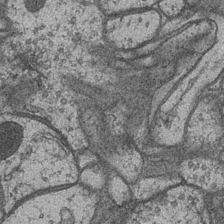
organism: Drosophila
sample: Optic medulla